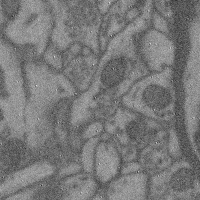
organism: Mouse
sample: Cerebral cortex